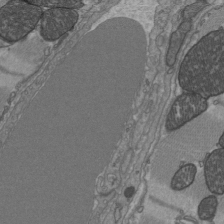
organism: C57BL Mouse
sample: Heart